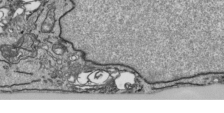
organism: Human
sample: Mitochondria in HCT116 cells